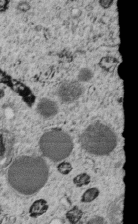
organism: C. elegans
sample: C. elegans embryo early stage